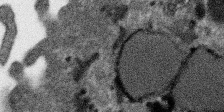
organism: Human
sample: Lung epithelial cells infected with SARS-CoV-2